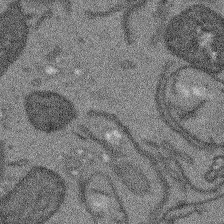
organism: Arabidopsis thaliana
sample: Root tip